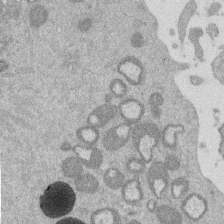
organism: Mouse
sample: Dividing mouse embryo 1 cell stage